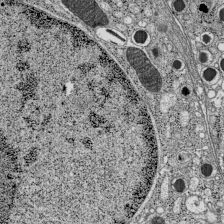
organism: C57BL Mouse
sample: Pancreatic islet